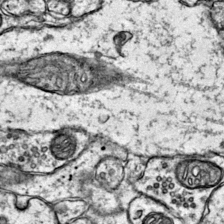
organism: Mouse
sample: Primary visual cortex